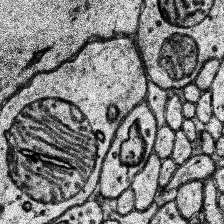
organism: Human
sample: Temporal Lobe